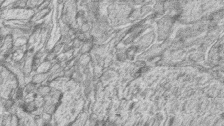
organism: Zebrafish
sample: synaptic ribbons in rod cells and cone cells